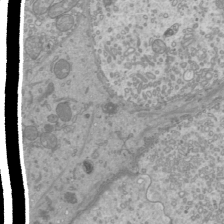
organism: Mouse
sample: Cilia; mouse epididymis